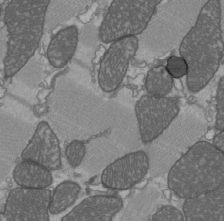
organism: C57BL Mouse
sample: Heart